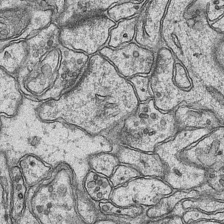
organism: Mouse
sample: CA1 Hippocampus